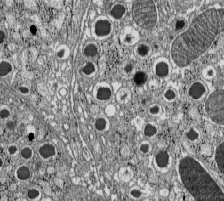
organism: C57BL Mouse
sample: Pancreatic islet